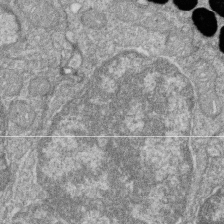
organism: Zebrafish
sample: Cilia; retinal pigment epithelium